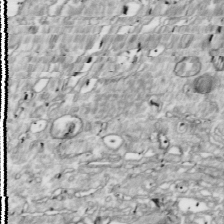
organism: Drosophila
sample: Cell division; meiosis; drosophila spermatocytes